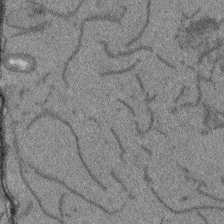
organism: Arabidopsis thaliana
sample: Root tip